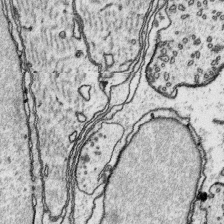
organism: Platynereis dumerilii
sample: Parapodia